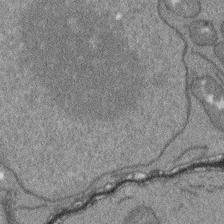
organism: Arabidopsis thaliana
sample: Root tip